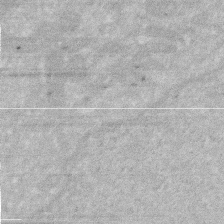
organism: Human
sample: HIV infected U937 cells